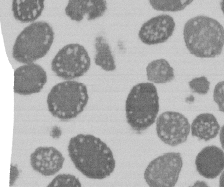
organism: E. coli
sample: Bacterial nucleoid